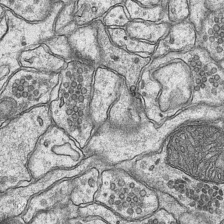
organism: Mouse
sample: CA1 Hippocampus